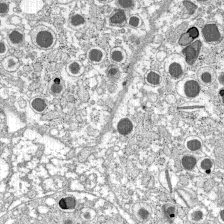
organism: C57BL Mouse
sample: Pancreatic islet